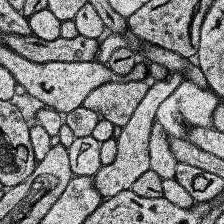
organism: Human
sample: Temporal Lobe